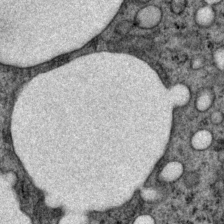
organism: P. pacificus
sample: Pharynx